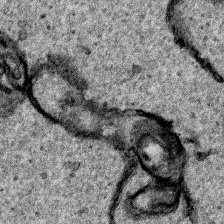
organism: Human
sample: Mitochondria in HCT116 cells